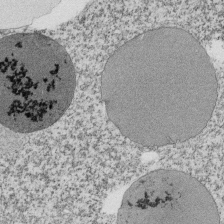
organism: Tetrahymena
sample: Cilia in tetrahymena